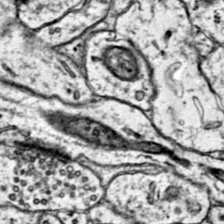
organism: Mouse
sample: Primary visual cortex